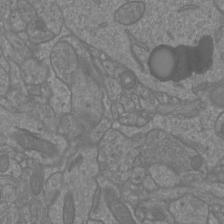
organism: Mouse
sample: Cortical neurons